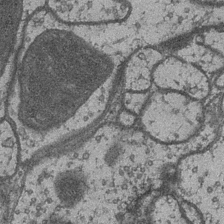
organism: Drosophila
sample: Optic medulla